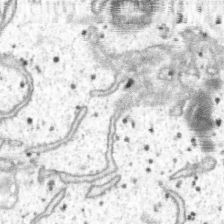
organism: Human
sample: HeLa cells